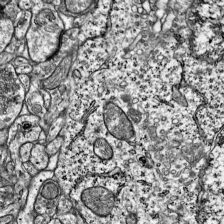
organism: Mouse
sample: Visual Cortex